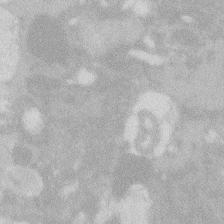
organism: Zebrafish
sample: Macrophage